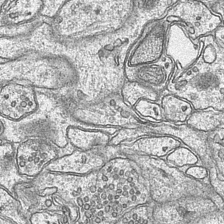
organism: Mouse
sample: CA1 Hippocampus